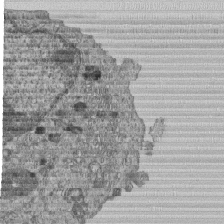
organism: Human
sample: MDA-MB-231 cells